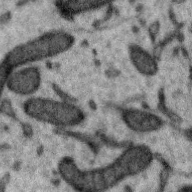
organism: Zebra finch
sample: Brain